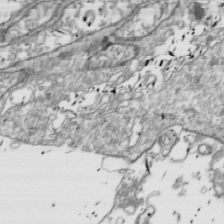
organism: Drosophila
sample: Cell division; meiosis; drosophila spermatocytes